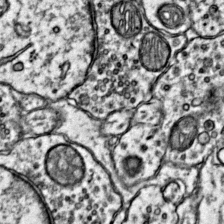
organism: Mouse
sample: Primary visual cortex